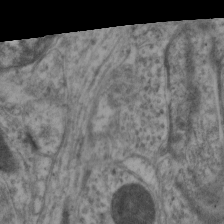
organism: Mouse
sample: Neocortex